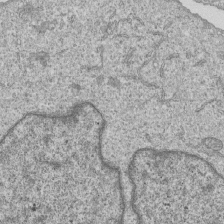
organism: Human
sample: MDA-MB-231 cells